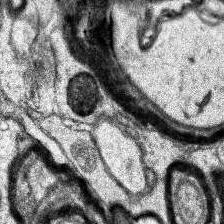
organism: Human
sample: Temporal Lobe